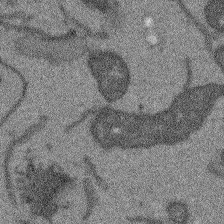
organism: Arabidopsis thaliana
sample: Root tip